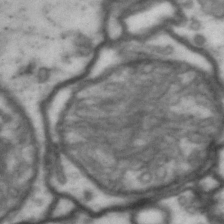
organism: Drosophila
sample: Brain